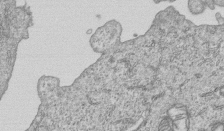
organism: Human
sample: MDA-MB-231 cells